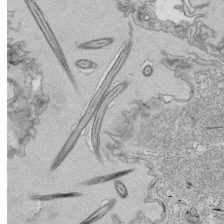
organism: Tetrahymena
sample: Cilia in tetrahymena